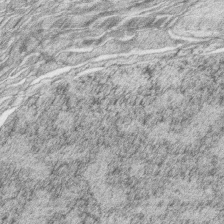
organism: Zebrafish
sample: synaptic ribbons in rod cells and cone cells